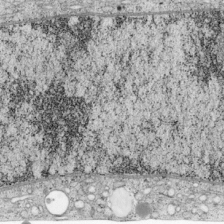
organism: African green monkey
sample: COS-7 cells